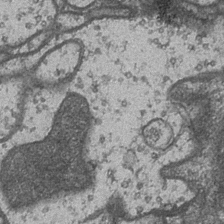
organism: Drosophila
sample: Optic medulla